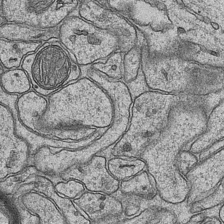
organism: Mouse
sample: CA1 Hippocampus